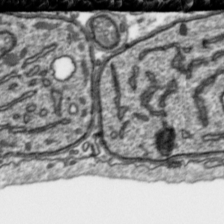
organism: Toxoplasma gondii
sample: Parasites in a vacuole inside a host cell